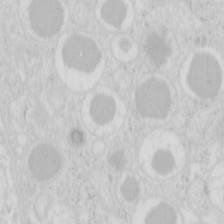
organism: Mouse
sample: Pancreas